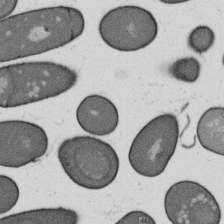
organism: B. subtilis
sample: Bacterial spore